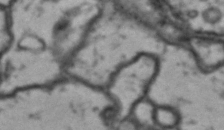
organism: Drosophila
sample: Brain